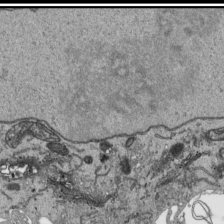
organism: Human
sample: Mitochondria in HCT116 cells